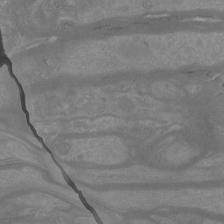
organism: Mouse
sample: Cortical neurons